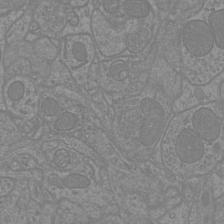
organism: Mouse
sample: Cortical neurons